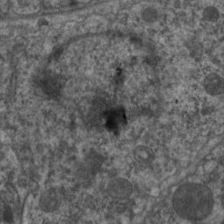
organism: C. elegans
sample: Pharynx